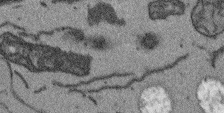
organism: Arabidopsis thaliana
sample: Root tip